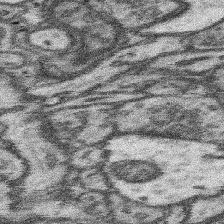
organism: Mouse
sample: Somatosensory cortex neuropil